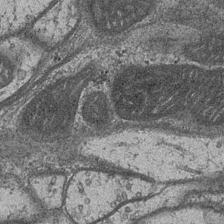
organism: Drosophila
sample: Optic medulla